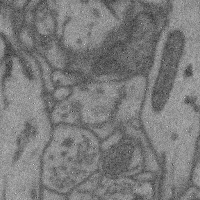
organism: Mouse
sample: Cerebral cortex